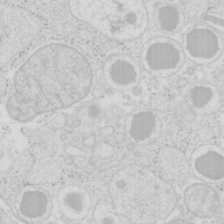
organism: Mouse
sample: Pancreas